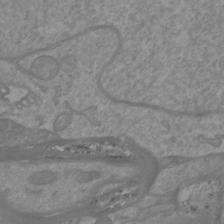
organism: Mouse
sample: Cortical neurons